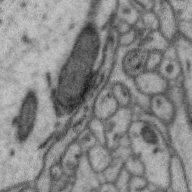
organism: Zebra finch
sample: Brain